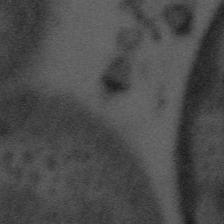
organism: Tuwongella immobilis